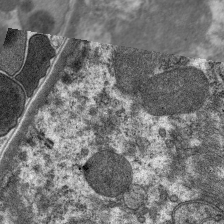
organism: C. elegans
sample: Pharynx